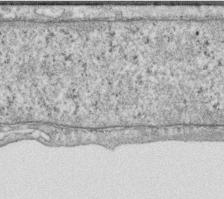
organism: Human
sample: Centriole in RPE cells